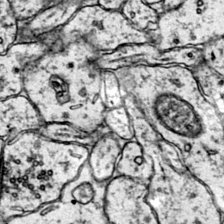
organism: Mouse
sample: Primary visual cortex